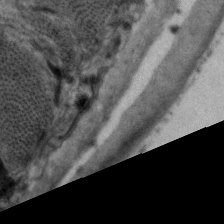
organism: C. elegans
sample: Pharynx